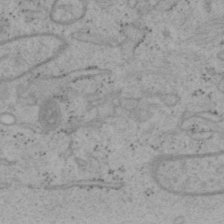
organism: Human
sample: HeLa cells